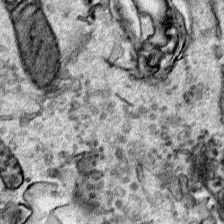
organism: Human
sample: Mitochondria in HCT116 cells